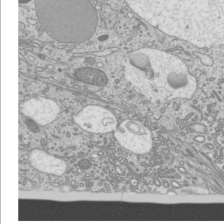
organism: Mouse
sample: Cilia; mouse epididymis